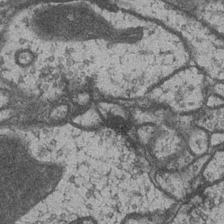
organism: Drosophila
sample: Optic medulla